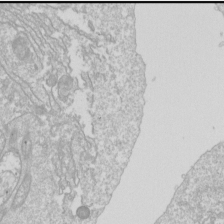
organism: Drosophila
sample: Cell division; meiosis; drosophila spermatocytes